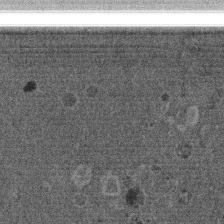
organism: Mouse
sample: Dividing mouse embryo 1 cell stage